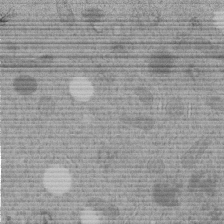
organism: C. elegans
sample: C. elegans embryo early stage